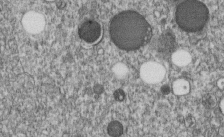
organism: C. elegans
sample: C. elegans embryo early stage